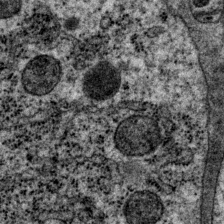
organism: P. pacificus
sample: Pharynx